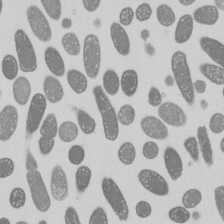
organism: E. coli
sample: Bacterial nucleoid